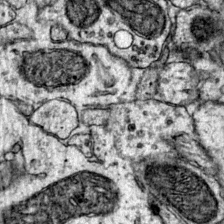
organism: Mouse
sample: Primary visual cortex